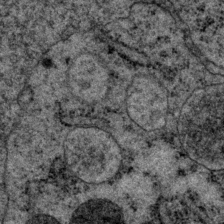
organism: P. pacificus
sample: Pharynx